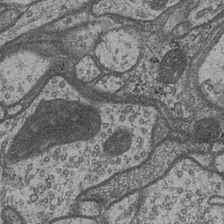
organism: Drosophila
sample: Optic medulla